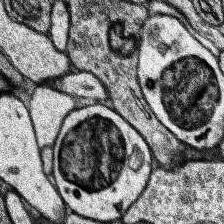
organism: Human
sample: Temporal Lobe